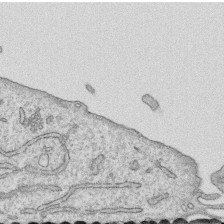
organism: Human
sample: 1205lu cells